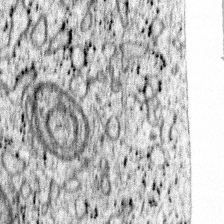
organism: Human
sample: HeLa cells